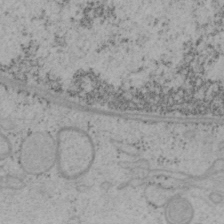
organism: Human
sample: HeLa cells